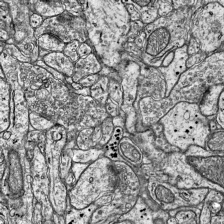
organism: Mouse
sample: Visual Cortex